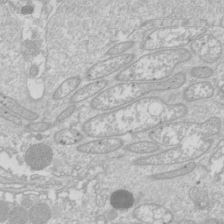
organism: Drosophila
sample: Cell division; meiosis; drosophila spermatocytes